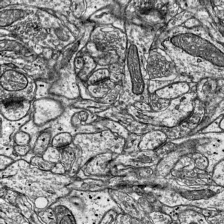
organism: Mouse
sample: Visual Cortex